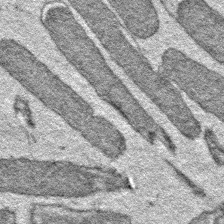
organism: E. coli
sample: E. Coli Bacteria